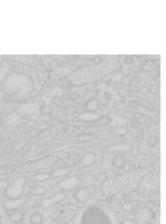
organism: Mouse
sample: Pancreas